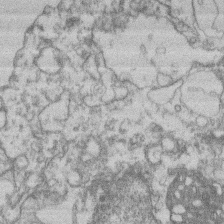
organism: Mouse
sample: T cell stromal cell synapse